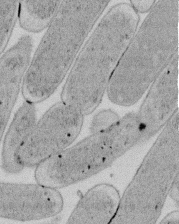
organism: E. coli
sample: Bacterial nucleoid